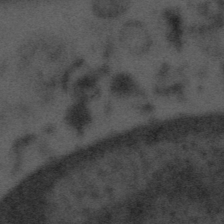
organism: Tuwongella immobilis